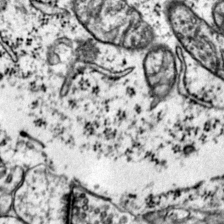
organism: Mouse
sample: Primary visual cortex